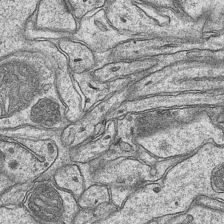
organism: Mouse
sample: CA1 Hippocampus